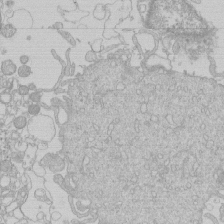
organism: Human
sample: Macrophage cells